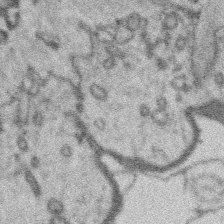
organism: Platynereis dumerilii